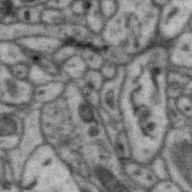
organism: Zebra finch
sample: Brain